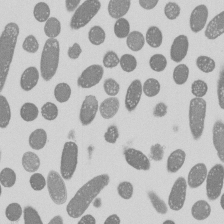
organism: E. coli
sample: Bacterial nucleoid